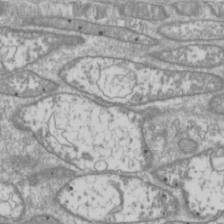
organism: Drosophila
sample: Cell division; meiosis; drosophila spermatocytes